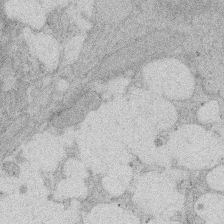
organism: Rat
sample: Salivary granule